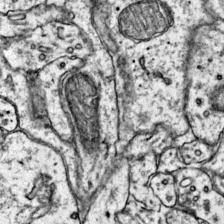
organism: Mouse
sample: Primary visual cortex